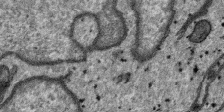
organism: Human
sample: Lung epithelial cells, uninfected (mock) control